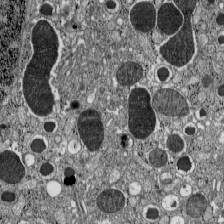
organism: C57BL Mouse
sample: Pancreatic islet